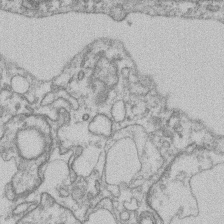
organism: Mouse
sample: T cell stromal cell synapse